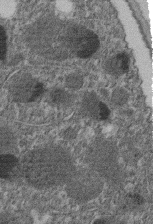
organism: C. elegans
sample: C. elegans embryo early stage